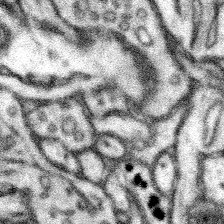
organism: Mouse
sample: Somatosensory cortex neuropil